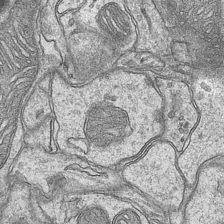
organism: Mouse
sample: CA1 Hippocampus